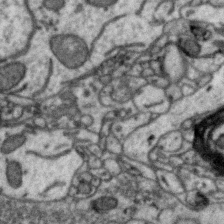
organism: Zebra finch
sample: Brain